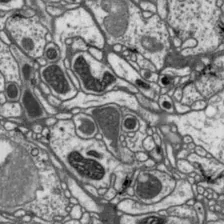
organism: Drosophila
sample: Protocerebral bridge